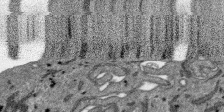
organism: Human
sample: Lung epithelial cells, uninfected (mock) control